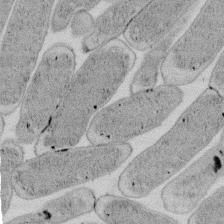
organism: E. coli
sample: Bacterial nucleoid